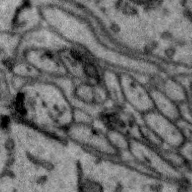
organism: Zebra finch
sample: Brain